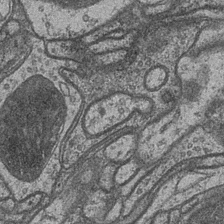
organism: Drosophila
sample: Optic medulla